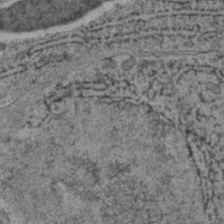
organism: C. elegans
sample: C. elegans embryo